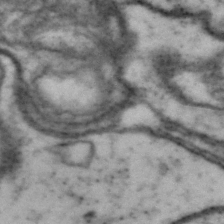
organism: Drosophila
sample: Brain